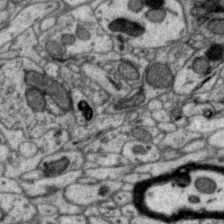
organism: Zebra finch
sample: Brain